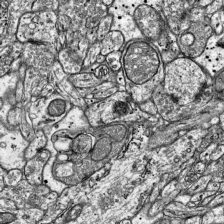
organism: Mouse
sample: Visual Cortex